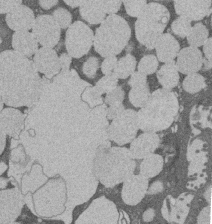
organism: Rat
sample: Salivary granule